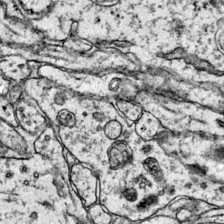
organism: Mouse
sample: Primary visual cortex